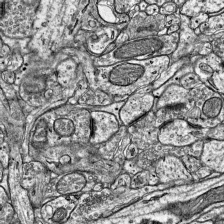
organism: Mouse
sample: Visual Cortex